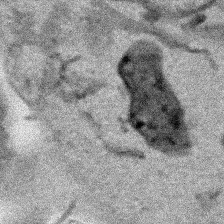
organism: Human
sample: Mitochondria in HCT116 cells